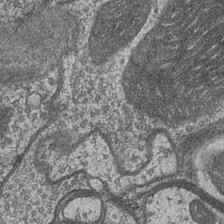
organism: Drosophila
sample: Optic medulla